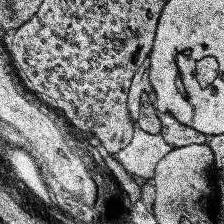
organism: Human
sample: Temporal Lobe